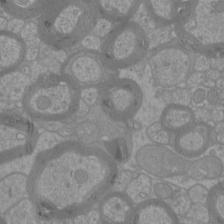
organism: Mouse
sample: Cortical neurons